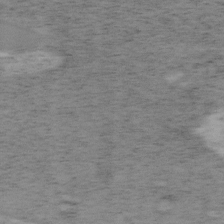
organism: Mouse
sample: OT-I killer T cells with ID8 ovarian cancer cells